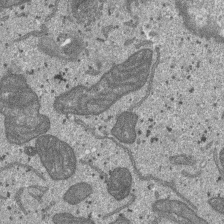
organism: Human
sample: Lung epithelial cells infected with SARS-CoV-2